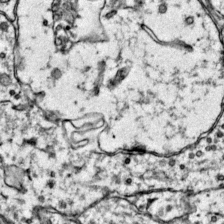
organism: Mouse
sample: Primary visual cortex